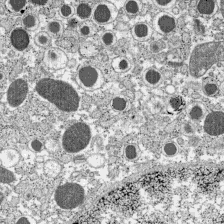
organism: C57BL Mouse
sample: Pancreatic islet